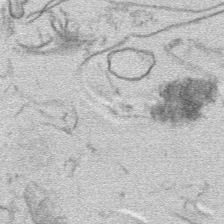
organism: Mouse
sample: Mouse hepatocytes